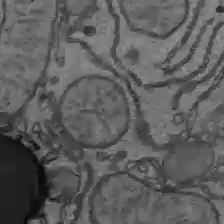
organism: C57BL Mouse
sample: Liver